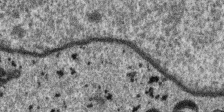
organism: Human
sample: Lung epithelial cells infected with SARS-CoV-2